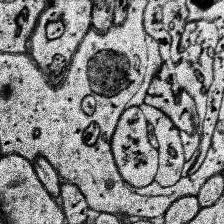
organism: Human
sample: Temporal Lobe